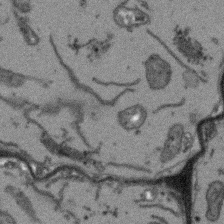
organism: Arabidopsis thaliana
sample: Root tip